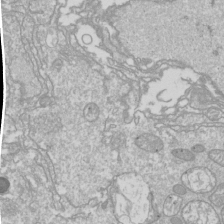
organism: Drosophila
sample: Cell division; meiosis; drosophila spermatocytes